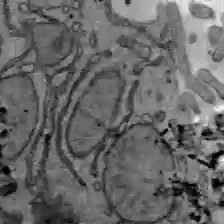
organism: C57BL Mouse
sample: Liver